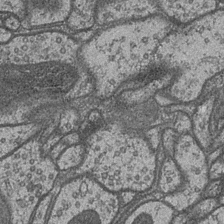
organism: Drosophila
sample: Optic medulla